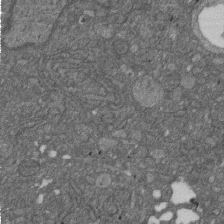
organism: Drosophila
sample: Nephrocyte